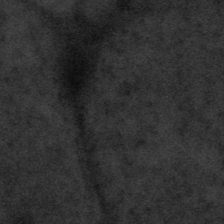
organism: Tuwongella immobilis